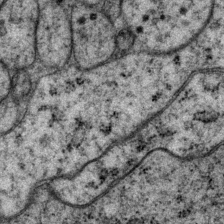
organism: P. pacificus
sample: Pharynx